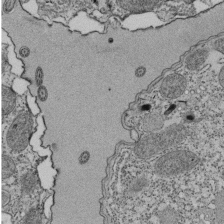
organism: Tetrahymena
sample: Cilia in tetrahymena